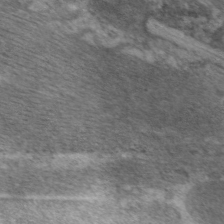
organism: C. elegans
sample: Pharynx